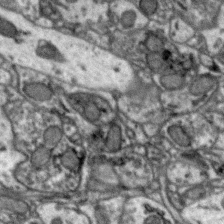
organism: Zebra finch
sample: Brain